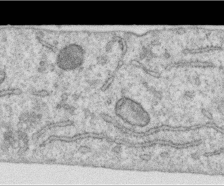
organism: Human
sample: Centriole in RPE cells